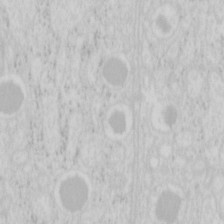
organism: Mouse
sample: Pancreas